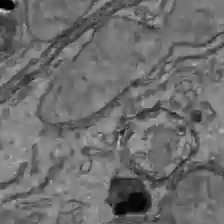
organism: C57BL Mouse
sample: Liver